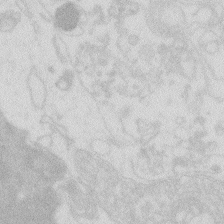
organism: Zebrafish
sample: Macrophage